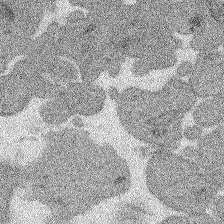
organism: Human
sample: HeLa cells